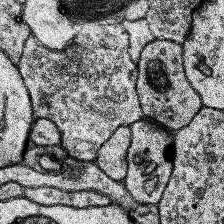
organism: Human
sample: Temporal Lobe